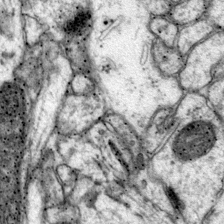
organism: Mouse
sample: Primary visual cortex